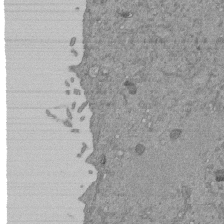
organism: Mouse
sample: ED-1 cell nuclei; centrioles